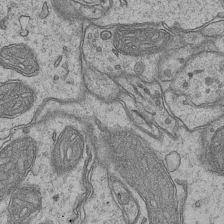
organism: Mouse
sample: CA1 Hippocampus